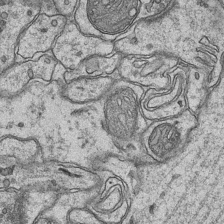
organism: Mouse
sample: CA1 Hippocampus